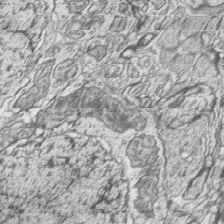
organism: Zebrafish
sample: synaptic ribbons in rod cells and cone cells